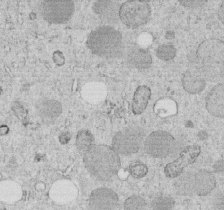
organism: C. elegans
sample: C. elegans embryo early stage